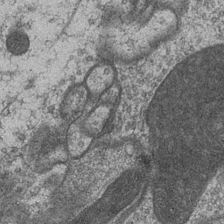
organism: Drosophila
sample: Optic medulla